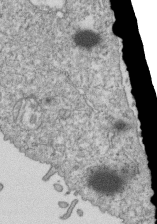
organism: Human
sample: HeLa cell HIV synapse